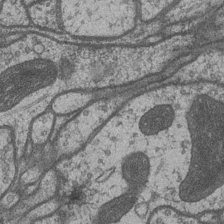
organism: Drosophila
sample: Optic medulla